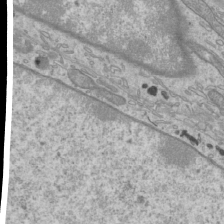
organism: Mouse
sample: Cilia; mouse epididymis